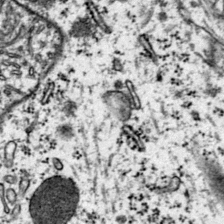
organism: Mouse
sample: Primary visual cortex